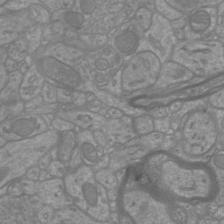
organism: Mouse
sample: Cortical neurons